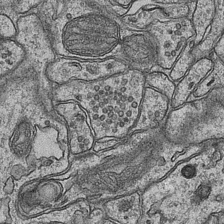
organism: Mouse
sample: CA1 Hippocampus